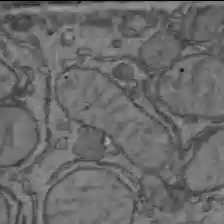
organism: C57BL Mouse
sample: Liver